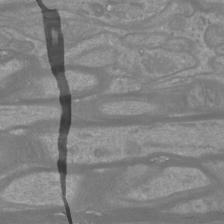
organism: Mouse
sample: Cortical neurons